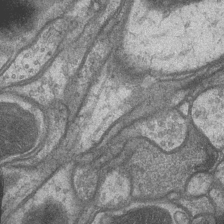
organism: Drosophila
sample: Optic medulla